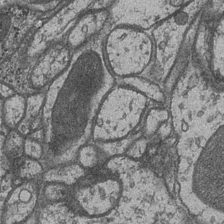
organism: Drosophila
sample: Optic medulla